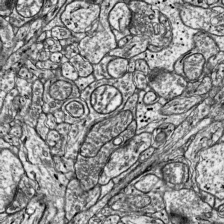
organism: Mouse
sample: Visual Cortex